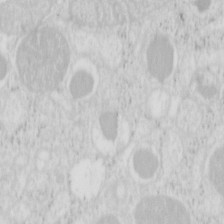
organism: Mouse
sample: Pancreas